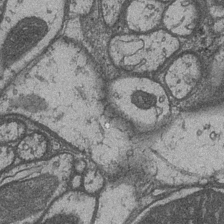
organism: Drosophila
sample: Optic medulla